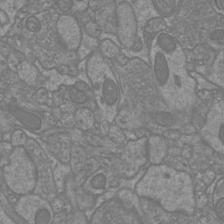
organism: Mouse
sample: Cortical neurons